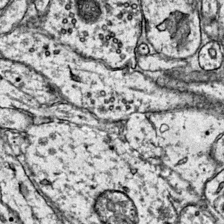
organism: Mouse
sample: Primary visual cortex